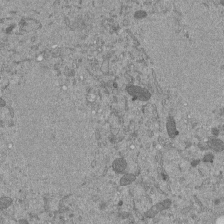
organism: Mouse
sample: ED-1 cell nuclei; centrioles